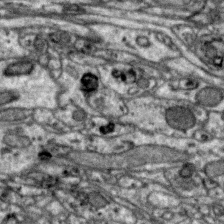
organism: Zebra finch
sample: Brain